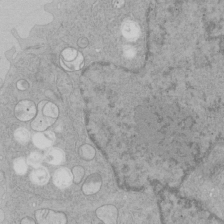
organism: Human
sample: Mitochondria in HCT116 cells